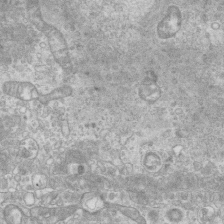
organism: Mouse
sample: Centriole in ependymal cells